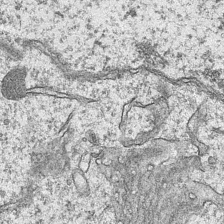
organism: Mouse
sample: CA1 Hippocampus